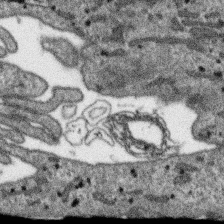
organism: Human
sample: Lung epithelial cells infected with SARS-CoV-2